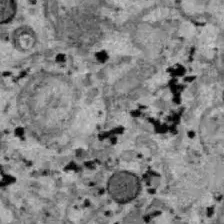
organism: Mouse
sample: Liver from an obese (ob/ob) mouse